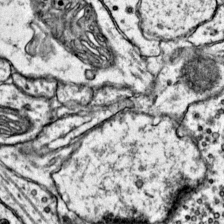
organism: Mouse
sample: Primary visual cortex